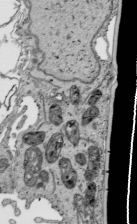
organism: Human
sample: Mitochondria in HCT116 cells